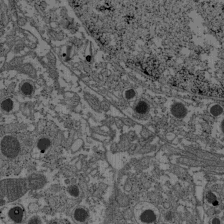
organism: C57BL Mouse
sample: Pancreatic islet